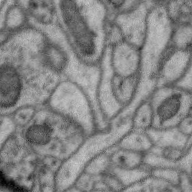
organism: Zebra finch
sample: Brain